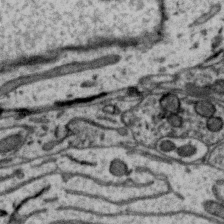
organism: Zebra finch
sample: Brain